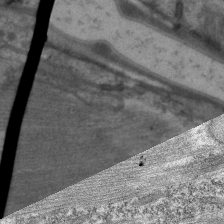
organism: C. elegans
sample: Pharynx